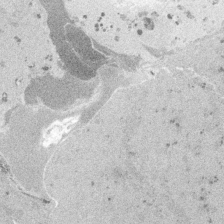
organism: Embia sp.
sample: Silk gland